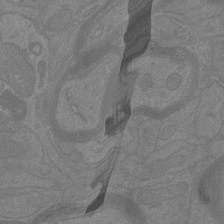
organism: Mouse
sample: Cortical neurons